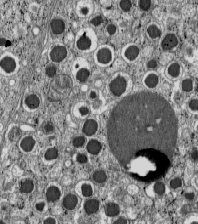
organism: C57BL Mouse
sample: Pancreatic islet